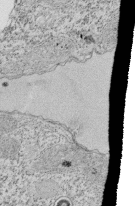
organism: Tetrahymena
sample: Cilia in tetrahymena